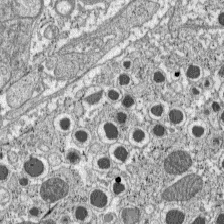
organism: C57BL Mouse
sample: Pancreatic islet